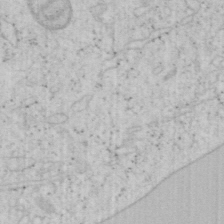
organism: Human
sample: HeLa cells